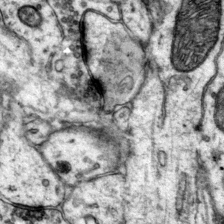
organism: Mouse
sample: Primary visual cortex